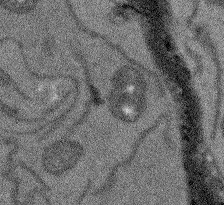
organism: Arabidopsis thaliana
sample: Root tip